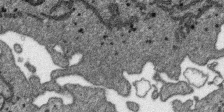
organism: Human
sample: Lung epithelial cells infected with SARS-CoV-2